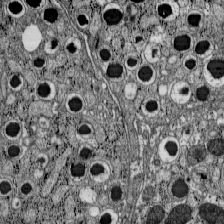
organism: C57BL Mouse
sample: Pancreatic islet